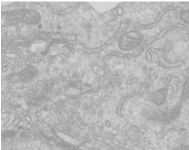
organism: Human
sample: Centriole in RPE cells